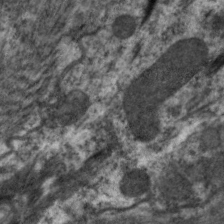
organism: C. elegans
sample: Pharynx